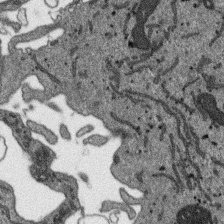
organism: Human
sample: Lung epithelial cells infected with SARS-CoV-2